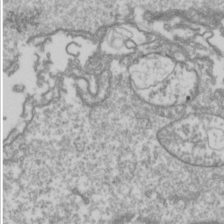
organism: Drosophila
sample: Cell division; meiosis; drosophila spermatocytes